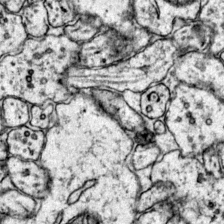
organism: Mouse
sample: Primary visual cortex